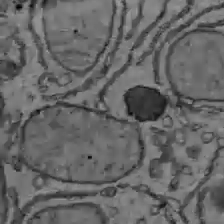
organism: C57BL Mouse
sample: Liver